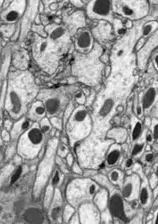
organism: Drosophila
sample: Optic lobe